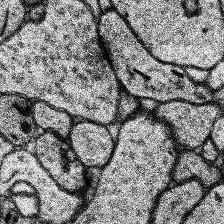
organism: Human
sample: Temporal Lobe